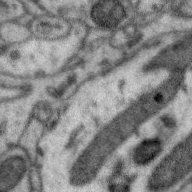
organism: Zebra finch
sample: Brain